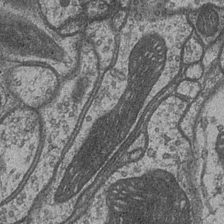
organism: Drosophila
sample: Optic medulla